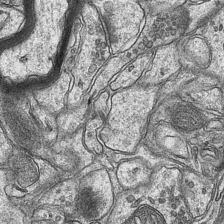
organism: Mouse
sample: CA1 Hippocampus